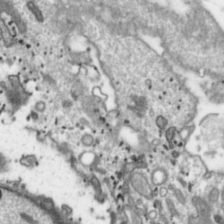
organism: Toxoplasma gondii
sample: Parasites in a vacuole inside a host cell